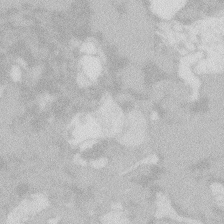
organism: Zebrafish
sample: Macrophage